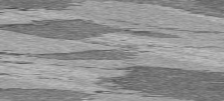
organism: C57BL Mouse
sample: Heart